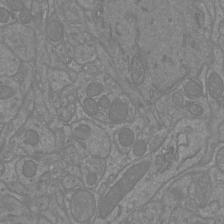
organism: Mouse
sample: Cortical neurons